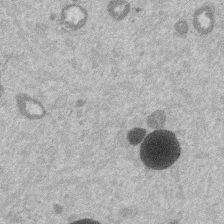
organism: Mouse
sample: Dividing mouse embryo 1 cell stage